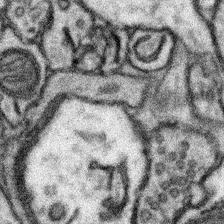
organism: Mouse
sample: Somatosensory cortex neuropil